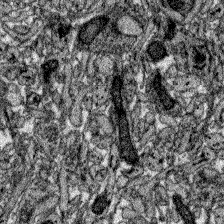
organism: Zebrafish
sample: Larval olfactory bulb